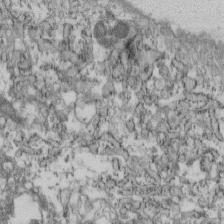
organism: Mouse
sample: Cilia; retinal pigment epithelium